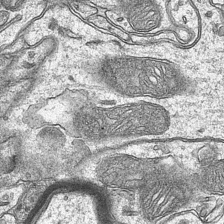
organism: Mouse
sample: CA1 Hippocampus